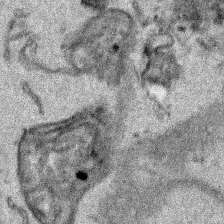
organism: Human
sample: Mitochondria in HCT116 cells